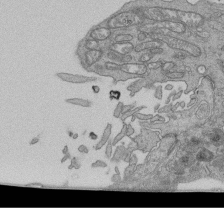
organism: Human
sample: Retinal organoid Rod and Cone cells